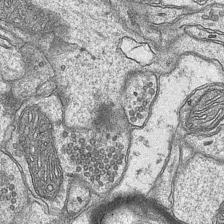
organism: Mouse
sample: CA1 Hippocampus